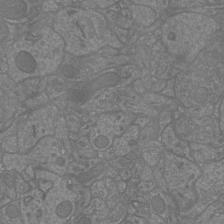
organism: Mouse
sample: Cortical neurons